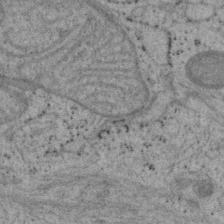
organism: Human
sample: HeLa cells